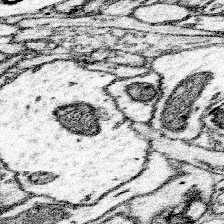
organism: Mouse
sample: Somatosensory cortex neuropil